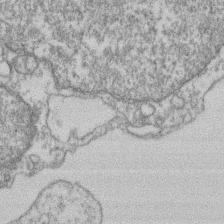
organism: Mouse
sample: T cell stromal cell synapse